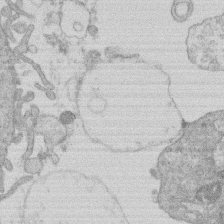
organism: Human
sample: Macrophage cells